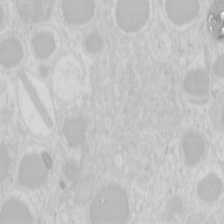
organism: Mouse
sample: Pancreas